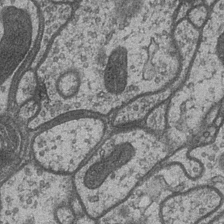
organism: Drosophila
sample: Optic medulla